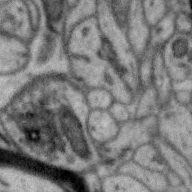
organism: Zebra finch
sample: Brain